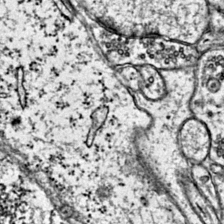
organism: Mouse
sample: Primary visual cortex